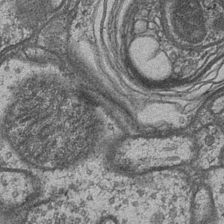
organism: Drosophila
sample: Optic medulla